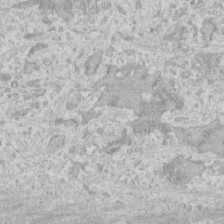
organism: Human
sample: Fibroblast cells